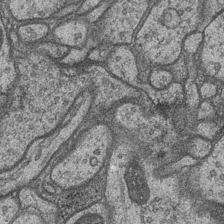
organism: Drosophila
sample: Optic medulla